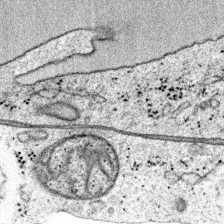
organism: Human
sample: HeLa cells